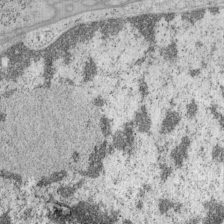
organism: Mouse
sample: OT-I killer T cells with ID8 ovarian cancer cells